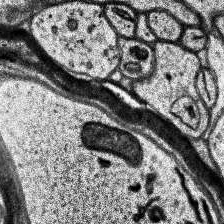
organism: Human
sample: Temporal Lobe